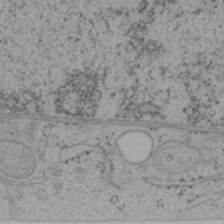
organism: Human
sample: HeLa cells